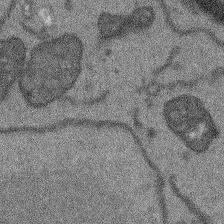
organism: Arabidopsis thaliana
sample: Root tip